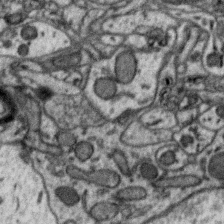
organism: Zebra finch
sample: Brain